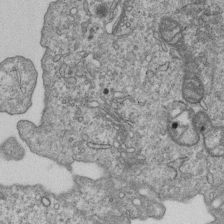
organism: Human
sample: MDA-MB-231 cells